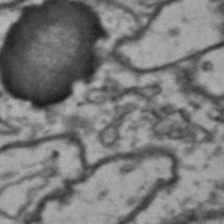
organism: Drosophila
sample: Brain